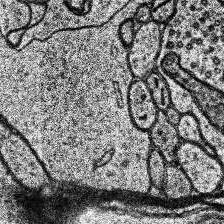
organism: Human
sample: Temporal Lobe